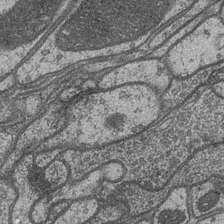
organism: Drosophila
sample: Optic medulla